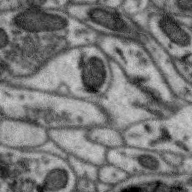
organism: Zebra finch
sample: Brain